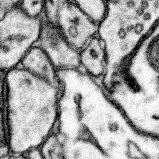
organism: Mouse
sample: Somatosensory cortex neuropil